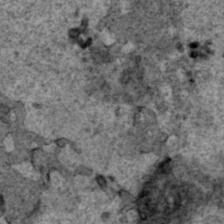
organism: Human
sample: Mitochondria in HCT116 cells